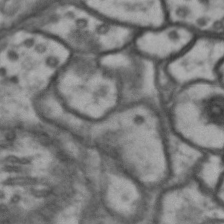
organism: Drosophila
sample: Brain